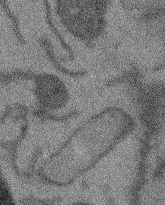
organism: Arabidopsis thaliana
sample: Root tip